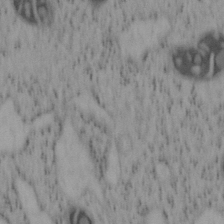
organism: Mouse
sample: OT-I killer T cells with ID8 ovarian cancer cells